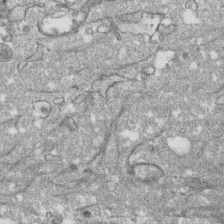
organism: Human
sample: CRL-1474